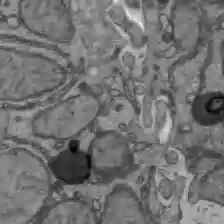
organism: C57BL Mouse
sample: Liver